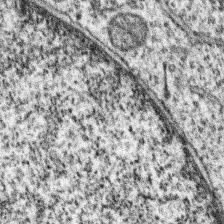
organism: Human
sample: HeLa cells